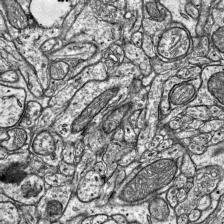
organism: Mouse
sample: Visual Cortex